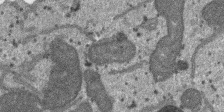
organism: Human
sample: Lung epithelial cells infected with SARS-CoV-2